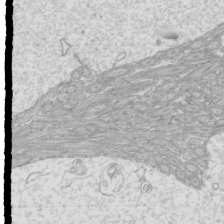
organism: Mouse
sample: Cilia; mouse epididymis